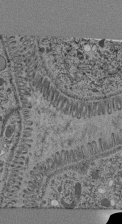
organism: C. elegans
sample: C. elegans pharynx